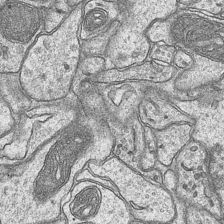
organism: Mouse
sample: CA1 Hippocampus